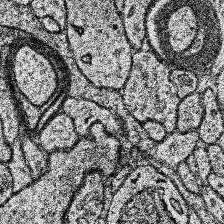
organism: Human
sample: Temporal Lobe